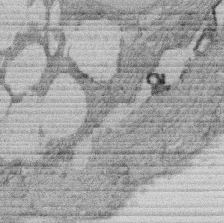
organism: Rat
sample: Salivary granule